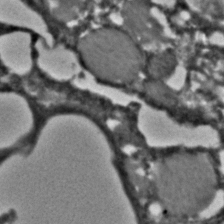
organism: C. elegans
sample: C. elegans embryo